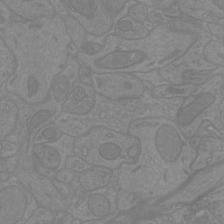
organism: Mouse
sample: Cortical neurons